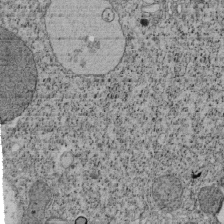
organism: Tetrahymena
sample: Cilia in tetrahymena